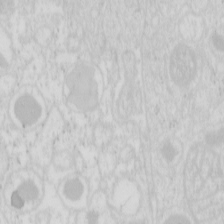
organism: Mouse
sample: Pancreas